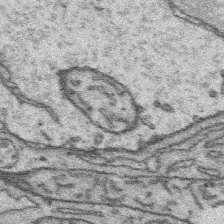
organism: Platynereis dumerilii